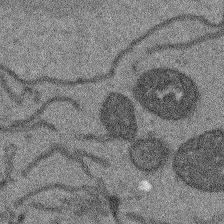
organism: Arabidopsis thaliana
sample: Root tip